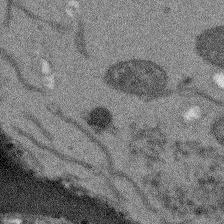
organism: Arabidopsis thaliana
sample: Root tip